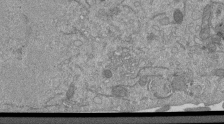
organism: Mouse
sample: ED-1 cell nuclei; centrioles